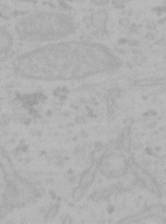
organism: Mouse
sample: Choroid plexus